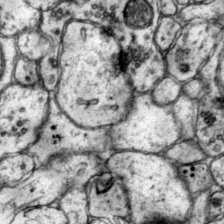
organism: Mouse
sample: Primary visual cortex